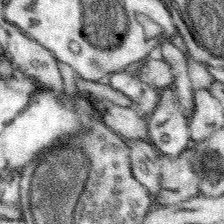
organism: Mouse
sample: Somatosensory cortex neuropil